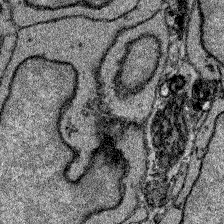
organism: Zebrafish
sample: Larval olfactory bulb